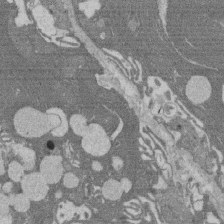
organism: Rat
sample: Salivary granule